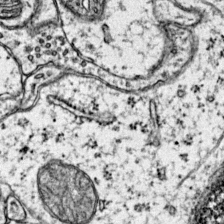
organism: Mouse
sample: Primary visual cortex